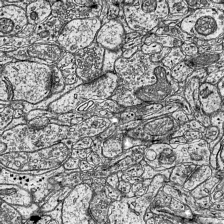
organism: Mouse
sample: Visual Cortex